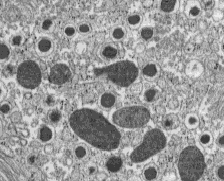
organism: C57BL Mouse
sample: Pancreatic islet